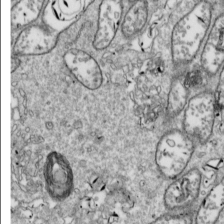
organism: Drosophila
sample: Cell division; meiosis; drosophila spermatocytes